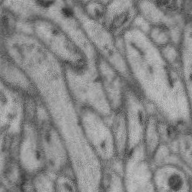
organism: Zebra finch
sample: Brain